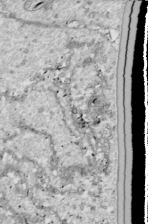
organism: Drosophila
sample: Cell division; meiosis; drosophila spermatocytes